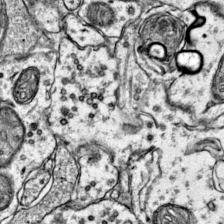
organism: Mouse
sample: Primary visual cortex